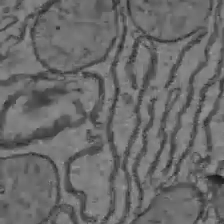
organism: C57BL Mouse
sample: Liver